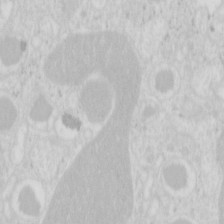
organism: Mouse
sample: Pancreas